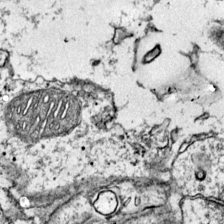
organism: Mouse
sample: Primary visual cortex